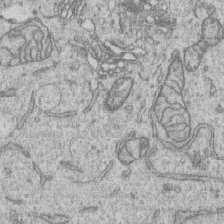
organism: Human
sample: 1205lu cells